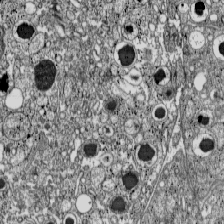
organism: C57BL Mouse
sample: Pancreatic islet